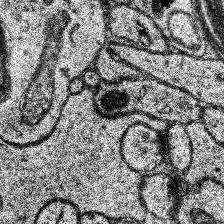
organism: Human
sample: Temporal Lobe